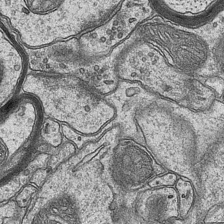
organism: Mouse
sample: CA1 Hippocampus